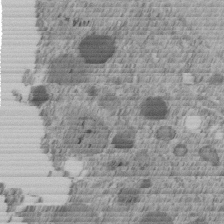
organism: C. elegans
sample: C. elegans embryo early stage